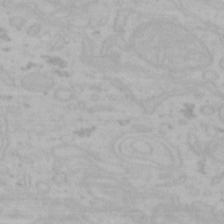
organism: Mouse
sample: Choroid plexus